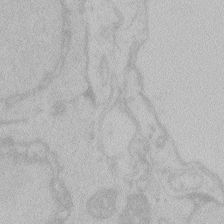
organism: Zebrafish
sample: Macrophage infected with Toxoplasma gondii